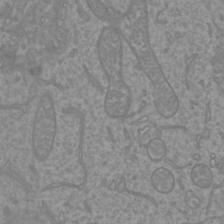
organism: Mouse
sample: Cortical neurons